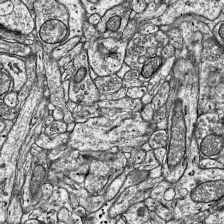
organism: Mouse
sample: Visual Cortex